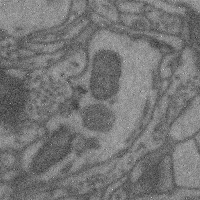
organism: Mouse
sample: Cerebral cortex